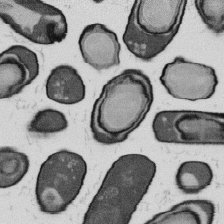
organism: B. subtilis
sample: Bacterial spore